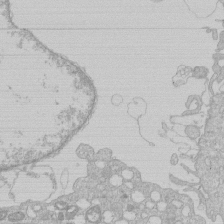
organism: Human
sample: Macrophage cells